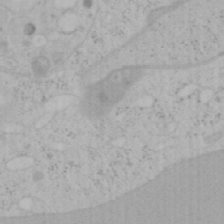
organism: Mouse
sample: OT-I killer T cells with ID8 ovarian cancer cells